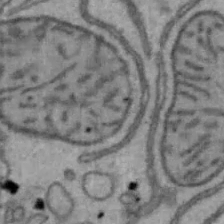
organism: Mouse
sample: Liver